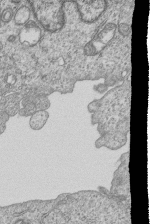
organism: Human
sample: MDA-MB-231 cells